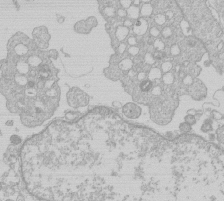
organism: Human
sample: Macrophage cells